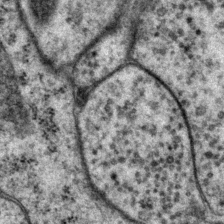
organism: P. pacificus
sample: Pharynx